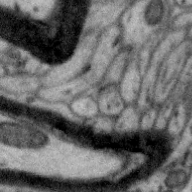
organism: Zebra finch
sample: Brain